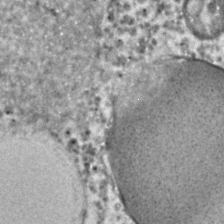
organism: C. elegans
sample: C. elegans embryo